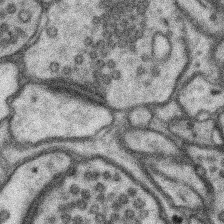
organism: Mouse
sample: Somatosensory cortex neuropil